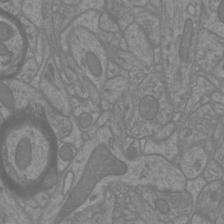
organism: Mouse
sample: Cortical neurons